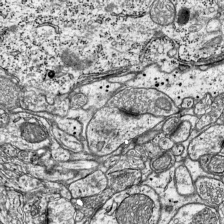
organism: Mouse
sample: Visual Cortex